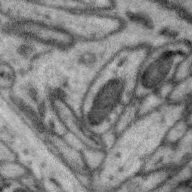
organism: Zebra finch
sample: Brain